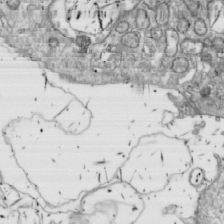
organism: Drosophila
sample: Cell division; meiosis; drosophila spermatocytes